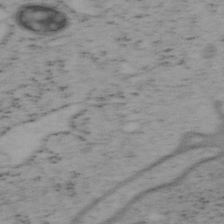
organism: Mouse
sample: OT-I killer T cells with ID8 ovarian cancer cells